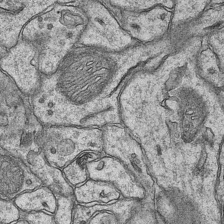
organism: Mouse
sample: CA1 Hippocampus